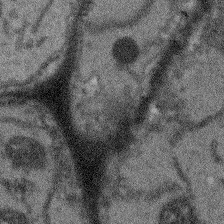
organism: Arabidopsis thaliana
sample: Root tip